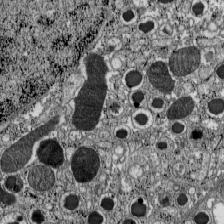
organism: C57BL Mouse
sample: Pancreatic islet